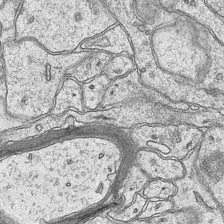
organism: Mouse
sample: CA1 Hippocampus